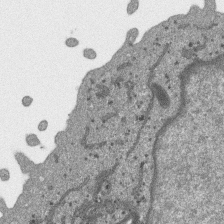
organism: Human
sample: Lung epithelial cells infected with SARS-CoV-2